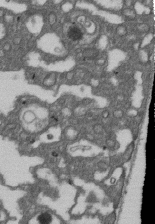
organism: Drosophila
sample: Nephrocyte